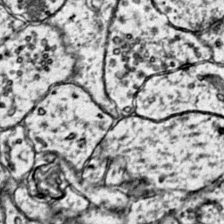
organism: Mouse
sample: Primary visual cortex